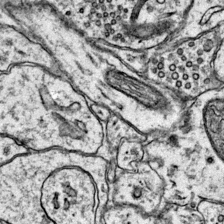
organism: Mouse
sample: Primary visual cortex